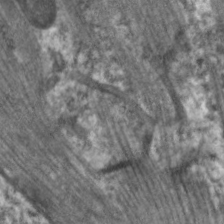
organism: C. elegans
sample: Pharynx